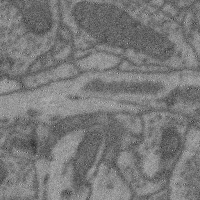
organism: Mouse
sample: Cerebral cortex